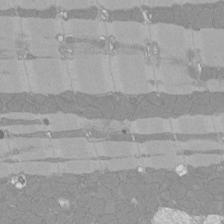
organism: Rat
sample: Left ventricle